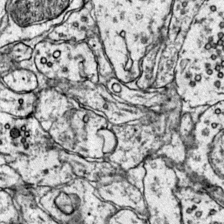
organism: Mouse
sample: Primary visual cortex